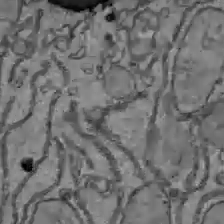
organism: C57BL Mouse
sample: Liver